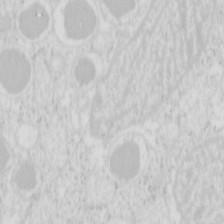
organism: Mouse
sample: Pancreas